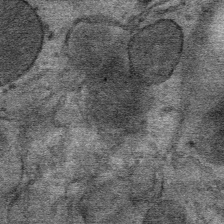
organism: Mouse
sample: Mouse Salivary gland